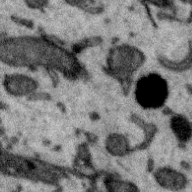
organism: Zebra finch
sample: Brain